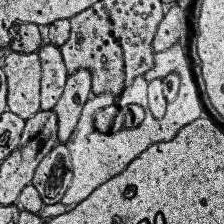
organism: Human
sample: Temporal Lobe